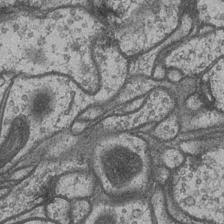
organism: Drosophila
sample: Optic medulla